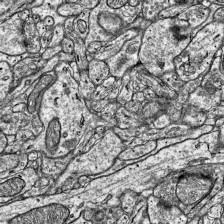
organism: Mouse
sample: Visual Cortex